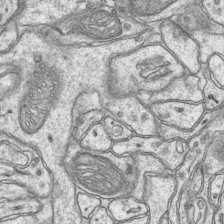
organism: Mouse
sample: CA1 Hippocampus